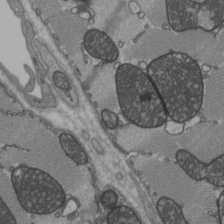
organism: C57BL Mouse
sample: Heart